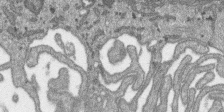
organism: Human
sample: Lung epithelial cells infected with SARS-CoV-2